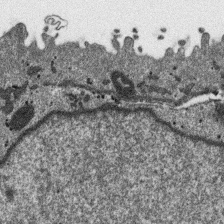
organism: Human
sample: Lung epithelial cells infected with SARS-CoV-2